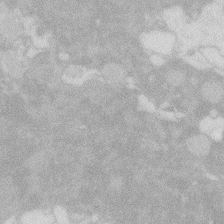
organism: Zebrafish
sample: Macrophage